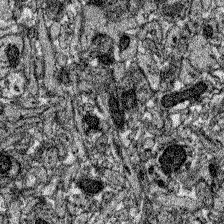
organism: Zebrafish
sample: Larval olfactory bulb